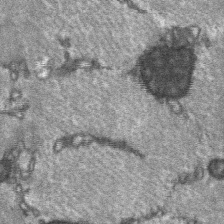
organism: C57BL Mouse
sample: Soleus